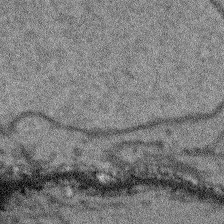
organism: Arabidopsis thaliana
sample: Root tip